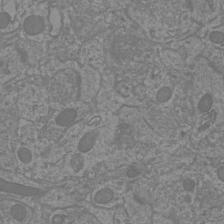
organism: Mouse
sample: Cortical neurons